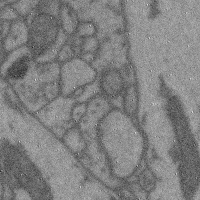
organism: Mouse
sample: Cerebral cortex